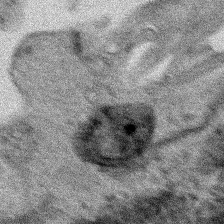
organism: Human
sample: Mitochondria in HCT116 cells